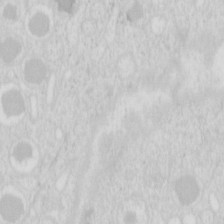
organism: Mouse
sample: Pancreas